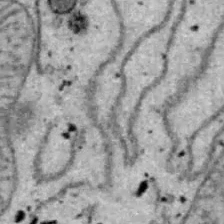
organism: Mouse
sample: Liver from an obese (ob/ob) mouse